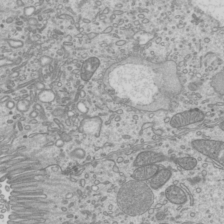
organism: Mouse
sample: Cilia; mouse epididymis